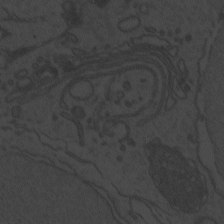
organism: Zebrafish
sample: Macrophage infected with Toxoplasma gondii